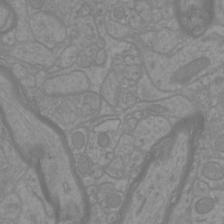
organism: Mouse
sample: Cortical neurons